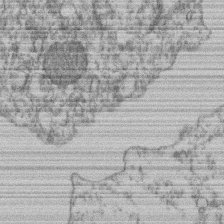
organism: Mouse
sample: T cell stromal cell synapse